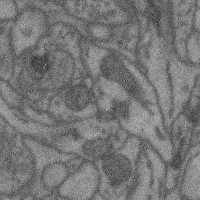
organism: Mouse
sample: Cerebral cortex